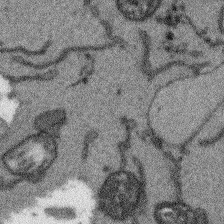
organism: Arabidopsis thaliana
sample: Root tip